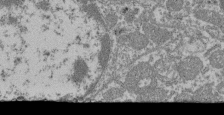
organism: Mouse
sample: Glomerulus